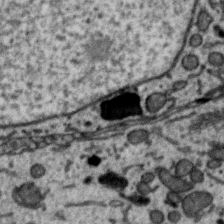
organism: Zebra finch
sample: Brain